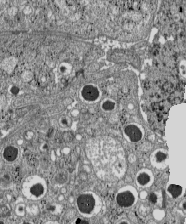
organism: C57BL Mouse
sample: Pancreatic islet